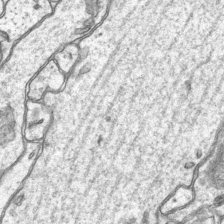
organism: Mouse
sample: CA1 Hippocampus